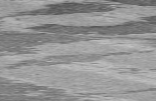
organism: C57BL Mouse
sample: Heart